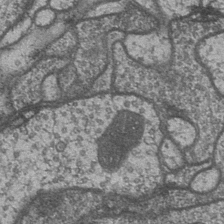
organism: Drosophila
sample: Optic medulla